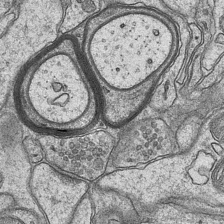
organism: Mouse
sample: CA1 Hippocampus